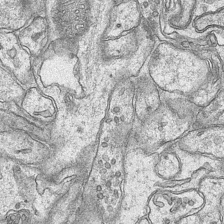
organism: Mouse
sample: CA1 Hippocampus